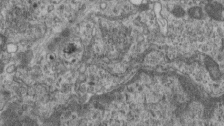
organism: Mouse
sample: Centriole in ependymal cells